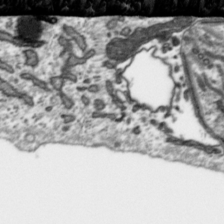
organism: Toxoplasma gondii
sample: Parasites in a vacuole inside a host cell